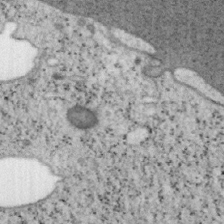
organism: Mouse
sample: OT-I killer T cells with ID8 ovarian cancer cells